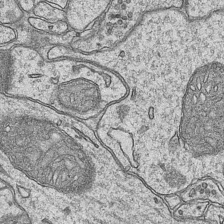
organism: Mouse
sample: CA1 Hippocampus